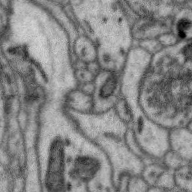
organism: Zebra finch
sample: Brain